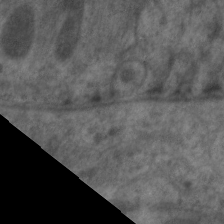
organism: C. elegans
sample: Pharynx